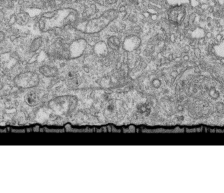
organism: Human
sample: HeLa cell HIV synapse